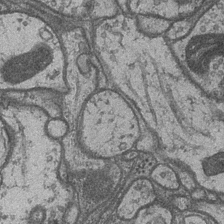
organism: Drosophila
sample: Optic medulla